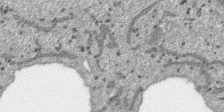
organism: Human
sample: Lung epithelial cells infected with SARS-CoV-2